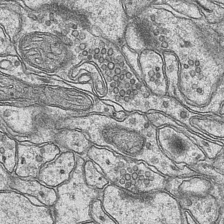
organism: Mouse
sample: CA1 Hippocampus